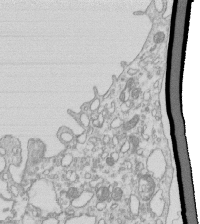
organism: Mouse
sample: Macrophages